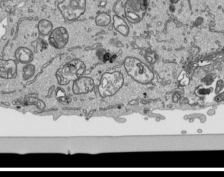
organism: Human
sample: Mitochondria in HCT116 cells